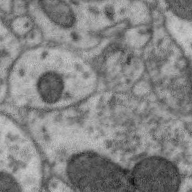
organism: Zebra finch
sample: Brain